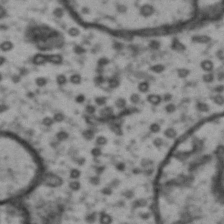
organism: Drosophila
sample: Brain